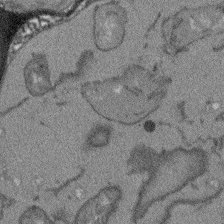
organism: Arabidopsis thaliana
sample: Root tip